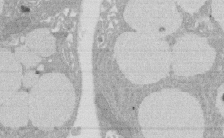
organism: Rat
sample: Salivary granule